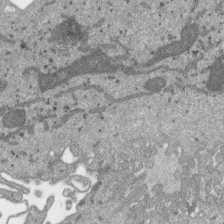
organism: Human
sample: Lung epithelial cells infected with SARS-CoV-2